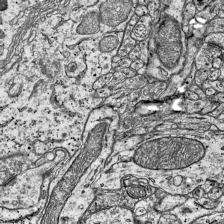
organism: Mouse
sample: Visual Cortex